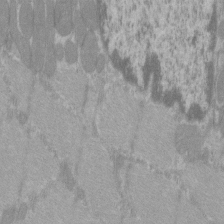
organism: C57BL Mouse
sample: Tibialis anterior muscle cell